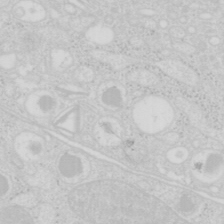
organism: Mouse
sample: Pancreas